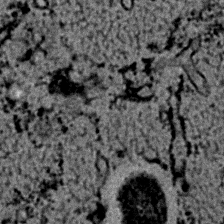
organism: C. elegans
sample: C. elegans embryo